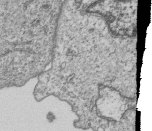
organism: Human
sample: MDA-MB-231 cells